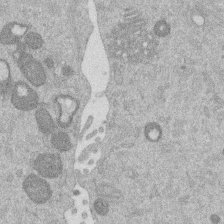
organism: Mouse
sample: Dividing mouse embryo 1 cell stage